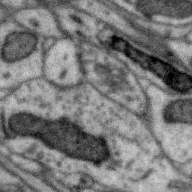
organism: Zebra finch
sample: Brain